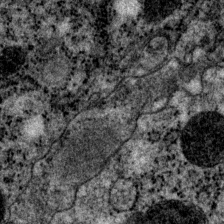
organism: P. pacificus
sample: Pharynx